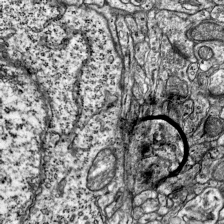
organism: Mouse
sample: Visual Cortex